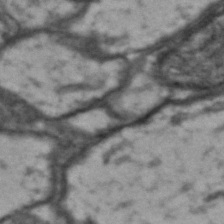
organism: Drosophila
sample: Brain